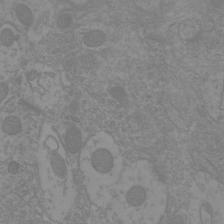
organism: Mouse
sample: Cortical neurons